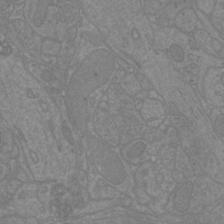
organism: Mouse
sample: Cortical neurons